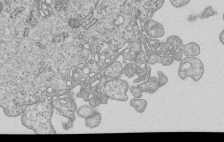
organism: Human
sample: MDA-MB-231 cells